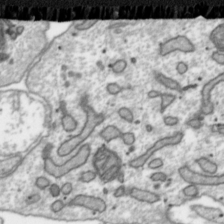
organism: Toxoplasma gondii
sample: Parasites in a vacuole inside a host cell